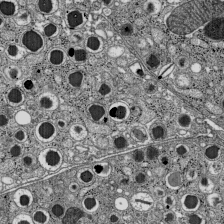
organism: C57BL Mouse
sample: Pancreatic islet